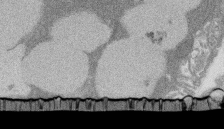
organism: Rat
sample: Salivary granule